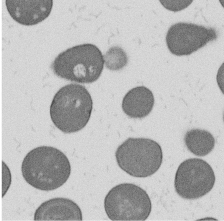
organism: B. subtilis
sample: Bacterial spore